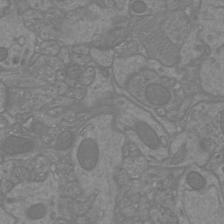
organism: Mouse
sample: Cortical neurons